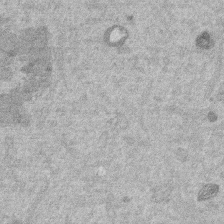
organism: Mouse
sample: Dividing mouse embryo 1 cell stage